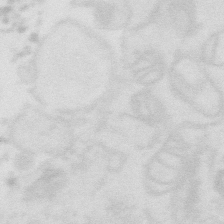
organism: Human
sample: HeLa cells